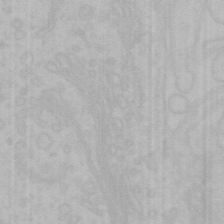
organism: Mouse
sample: Choroid plexus